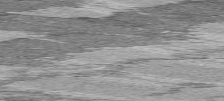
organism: C57BL Mouse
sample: Heart